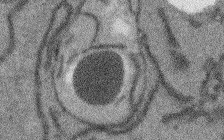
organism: Arabidopsis thaliana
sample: Root tip